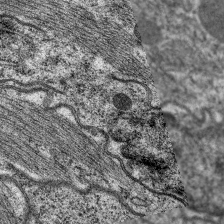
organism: C. elegans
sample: Pharynx